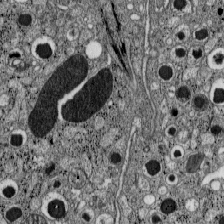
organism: C57BL Mouse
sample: Pancreatic islet